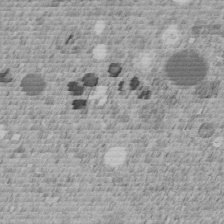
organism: C. elegans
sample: C. elegans embryo early stage